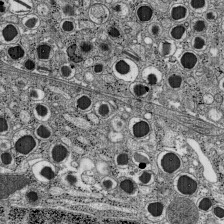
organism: C57BL Mouse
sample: Pancreatic islet